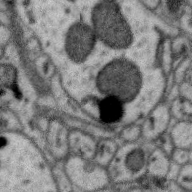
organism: Zebra finch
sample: Brain